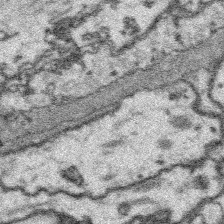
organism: Platynereis dumerilii